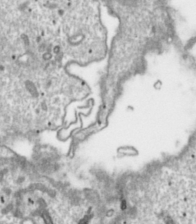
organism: Toxoplasma gondii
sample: Parasites in a vacuole inside a host cell